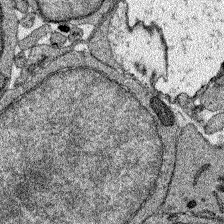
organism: Zebrafish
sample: Larval olfactory bulb